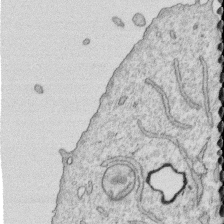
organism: Human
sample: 1205lu cells